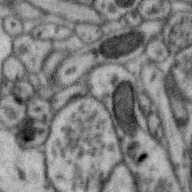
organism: Zebra finch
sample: Brain